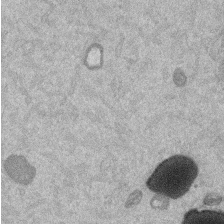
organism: Mouse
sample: Dividing mouse embryo 1 cell stage